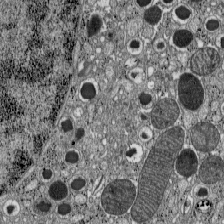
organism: C57BL Mouse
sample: Pancreatic islet